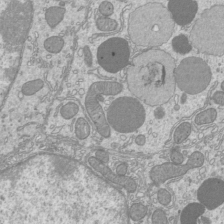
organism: Mouse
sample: Cilia; mouse epididymis